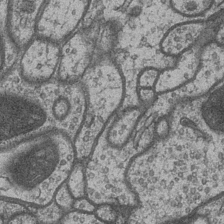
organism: Drosophila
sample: Optic medulla